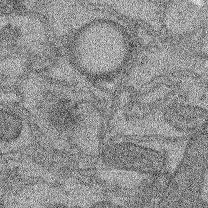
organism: Human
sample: HeLa cells